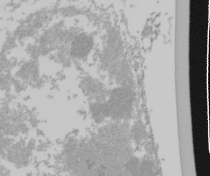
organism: Mouse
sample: Cancer cell death in ED-1 cells